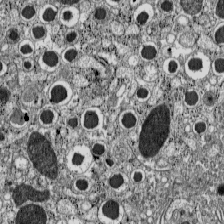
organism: C57BL Mouse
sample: Pancreatic islet